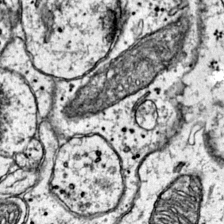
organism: Mouse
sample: Primary visual cortex